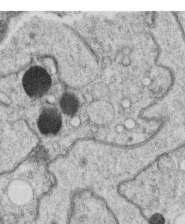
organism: C. elegans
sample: C. elegans oocyte; sperm cells